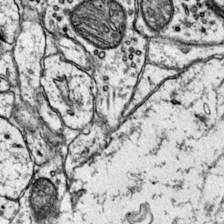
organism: Mouse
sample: Primary visual cortex